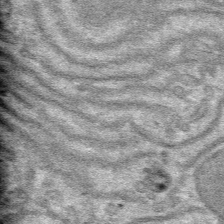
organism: Mouse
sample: Mouse hepatocytes